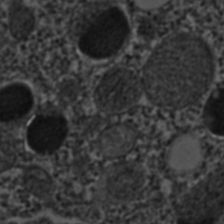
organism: C. elegans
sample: C. elegans embryo